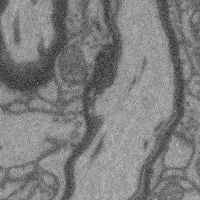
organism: Mouse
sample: Cerebral cortex